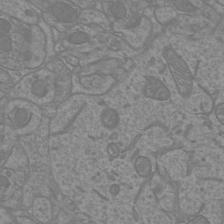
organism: Mouse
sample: Cortical neurons